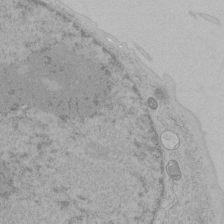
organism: Human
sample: Mitochondria in HCT116 cells